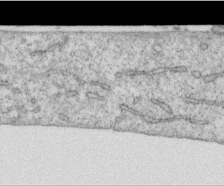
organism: Human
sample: Centriole in RPE cells